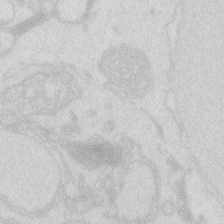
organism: Zebrafish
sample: Macrophage